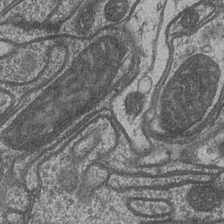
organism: Drosophila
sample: Optic medulla